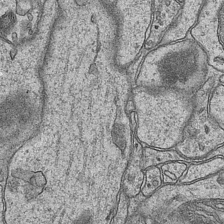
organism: Mouse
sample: CA1 Hippocampus